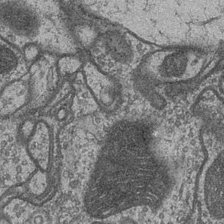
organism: Drosophila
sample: Optic medulla